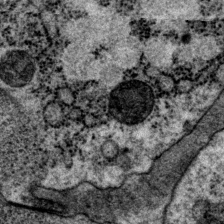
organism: P. pacificus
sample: Pharynx